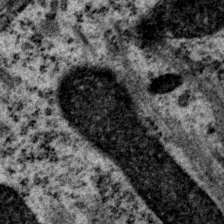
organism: P. pacificus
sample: Pharynx